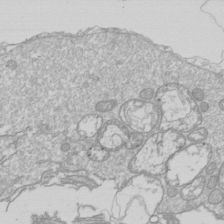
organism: Drosophila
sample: Cell division; meiosis; drosophila spermatocytes